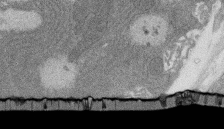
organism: Rat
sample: Salivary granule